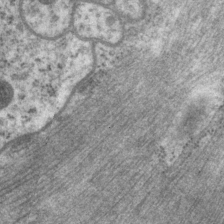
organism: P. pacificus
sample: Pharynx